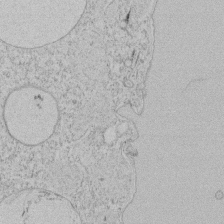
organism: Tetrahymena